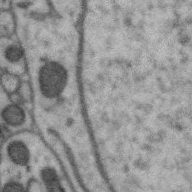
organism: Zebra finch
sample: Brain